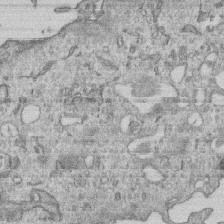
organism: Human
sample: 1205lu cells